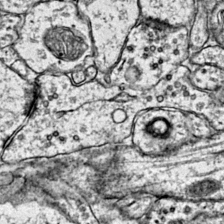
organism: Mouse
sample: Primary visual cortex